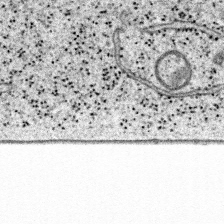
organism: Human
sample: HeLa cells